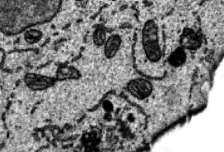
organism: Human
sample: HeLa cells